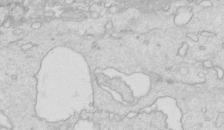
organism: Mouse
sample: Multiciliated cells